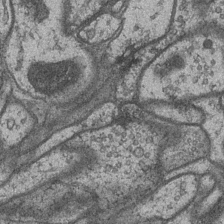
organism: Drosophila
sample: Optic medulla